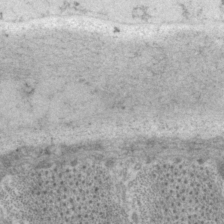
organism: P. pacificus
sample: Pharynx